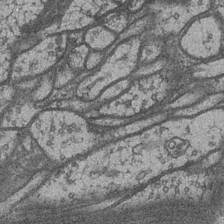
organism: Drosophila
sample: Optic medulla